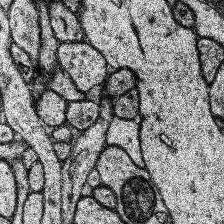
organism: Human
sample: Temporal Lobe